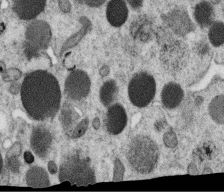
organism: C. elegans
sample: C. elegans oocyte; sperm cells